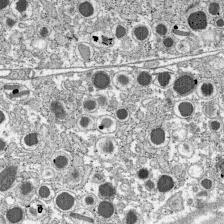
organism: C57BL Mouse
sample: Pancreatic islet